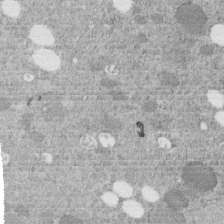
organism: C. elegans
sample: C. elegans embryo early stage